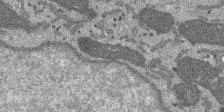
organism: Human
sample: Lung epithelial cells infected with SARS-CoV-2